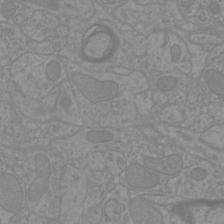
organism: Mouse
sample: Cortical neurons